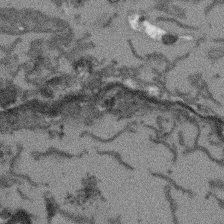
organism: Arabidopsis thaliana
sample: Root tip